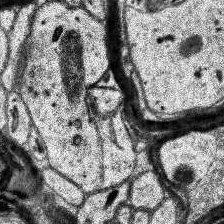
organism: Human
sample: Temporal Lobe